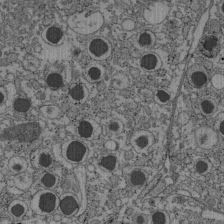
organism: C57BL Mouse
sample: Pancreatic islet